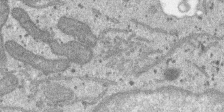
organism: Human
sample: Lung epithelial cells infected with SARS-CoV-2